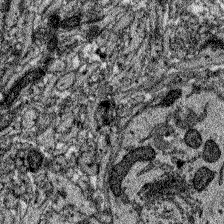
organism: Zebrafish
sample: Larval olfactory bulb